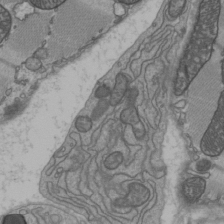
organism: C57BL Mouse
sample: Heart